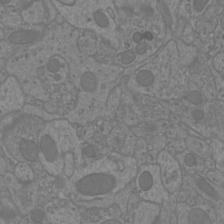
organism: Mouse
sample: Cortical neurons